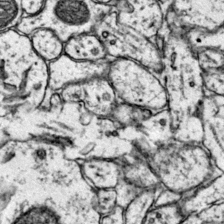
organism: Mouse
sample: Primary visual cortex